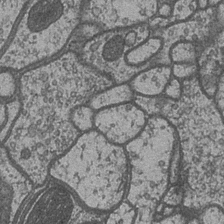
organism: Drosophila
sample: Optic medulla